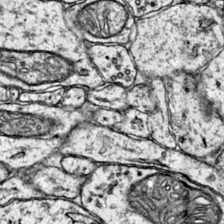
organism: Mouse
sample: Primary visual cortex